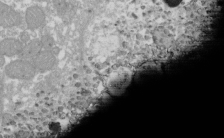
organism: Xenopus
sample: Cilia; centrioles in frog embryo cells